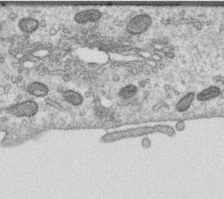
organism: Human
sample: Centriole in RPE cells